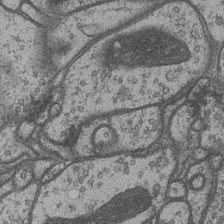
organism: Drosophila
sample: Optic medulla